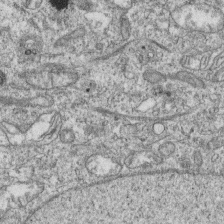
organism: Human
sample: HeLa cell HIV synapse